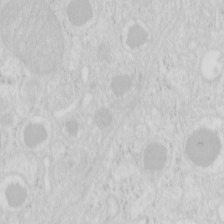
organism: Mouse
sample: Pancreas